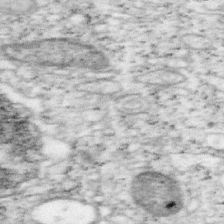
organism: Mouse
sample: OT-I killer T cells with ID8 ovarian cancer cells